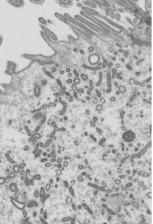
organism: Mouse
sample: Mouse epididymis efferent ductule cilia